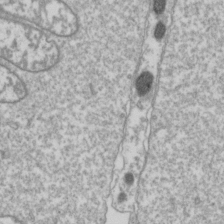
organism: Drosophila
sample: Cell division; meiosis; drosophila spermatocytes